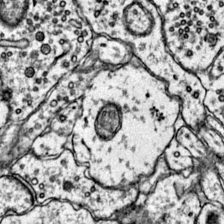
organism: Mouse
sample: Primary visual cortex